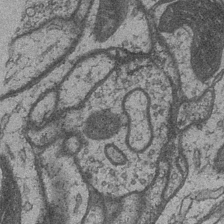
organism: Drosophila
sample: Optic medulla